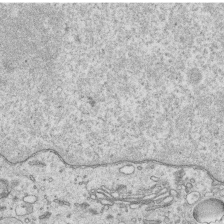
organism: Human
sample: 1205lu cells